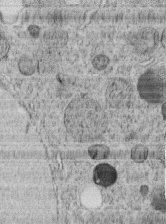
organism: C. elegans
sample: C. elegans embryo early stage